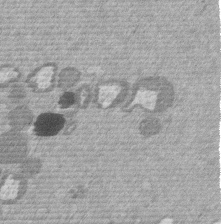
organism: Mouse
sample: Dividing mouse embryo 1 cell stage